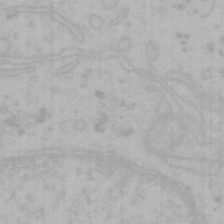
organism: Mouse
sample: Choroid plexus